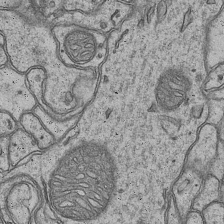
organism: Mouse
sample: CA1 Hippocampus